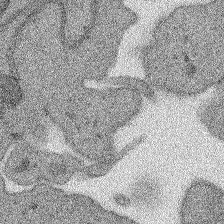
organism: Human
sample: HeLa cells